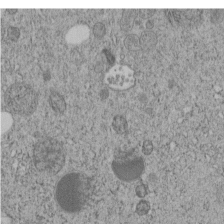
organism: C. elegans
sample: C. elegans embryo early stage